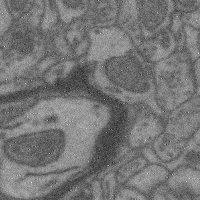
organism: Mouse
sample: Cerebral cortex